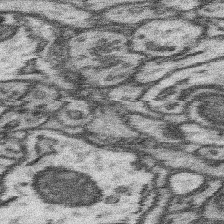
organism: Mouse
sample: Somatosensory cortex neuropil